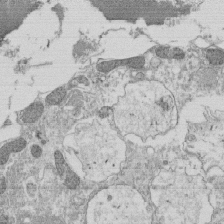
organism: Tetrahymena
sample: Cilia in tetrahymena